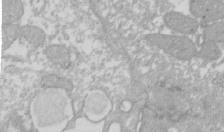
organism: Xenopus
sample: Cilia; centrioles in frog embryo cells